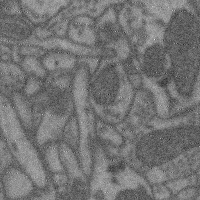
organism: Mouse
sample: Cerebral cortex